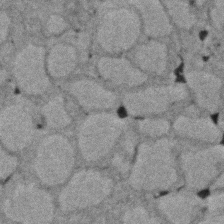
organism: Zebrafish